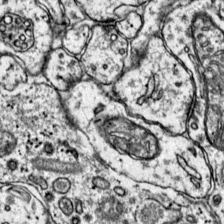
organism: Mouse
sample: Primary visual cortex